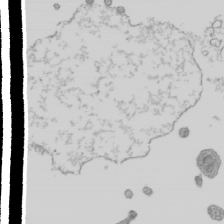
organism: Mouse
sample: Cilia; mouse epididymis